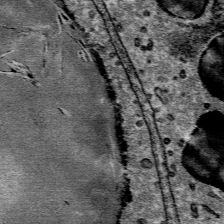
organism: Mouse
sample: Mouse Salivary gland